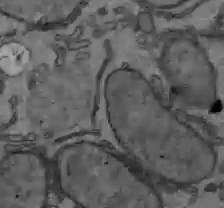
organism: C57BL Mouse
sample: Liver